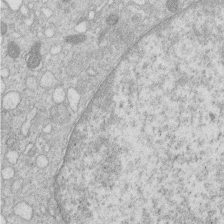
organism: Human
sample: Macrophage cells